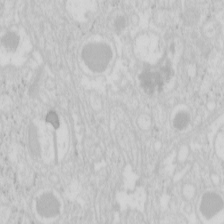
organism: Mouse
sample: Pancreas